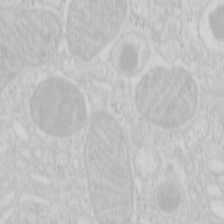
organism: Mouse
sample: Pancreas